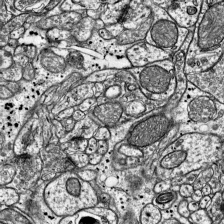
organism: Mouse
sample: Visual Cortex